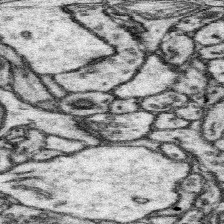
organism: Mouse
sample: Somatosensory cortex neuropil